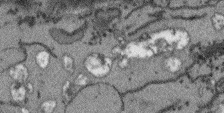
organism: Arabidopsis thaliana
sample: Root tip